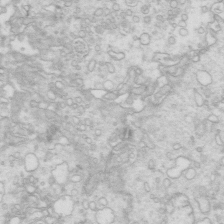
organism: Mouse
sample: Multiciliated cells